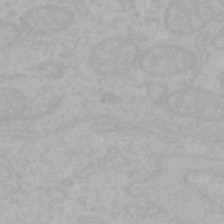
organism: Mouse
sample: Choroid plexus